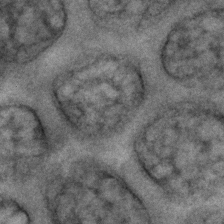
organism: C. elegans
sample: C. elegans embryo